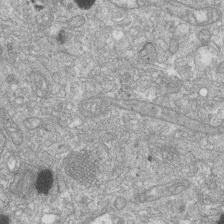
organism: Human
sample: HeLa cell HIV synapse